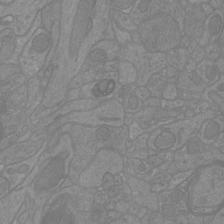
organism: Mouse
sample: Cortical neurons